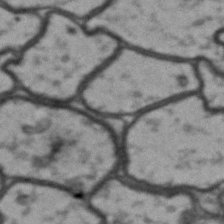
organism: Drosophila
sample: Brain